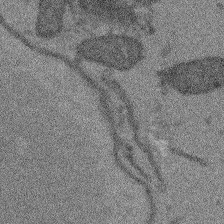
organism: Arabidopsis thaliana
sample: Root tip